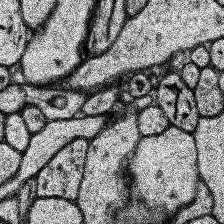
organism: Human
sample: Temporal Lobe